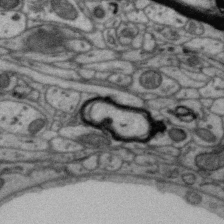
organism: Zebra finch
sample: Brain